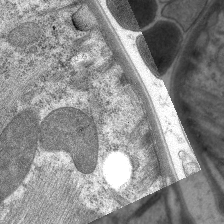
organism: C. elegans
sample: Pharynx